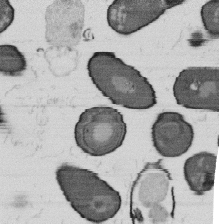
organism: B. subtilis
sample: Bacterial spore